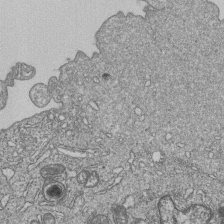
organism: Human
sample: MDA-MB-231 cells